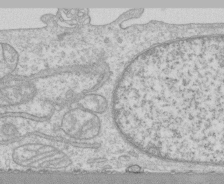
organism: Human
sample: CRL-1474